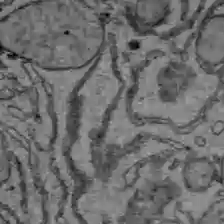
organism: C57BL Mouse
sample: Liver